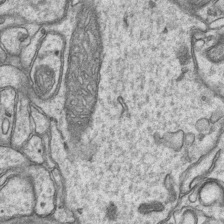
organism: Mouse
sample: CA1 Hippocampus